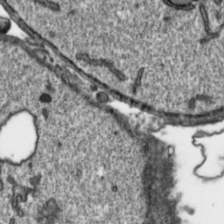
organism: Toxoplasma gondii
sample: Parasites in a vacuole inside a host cell